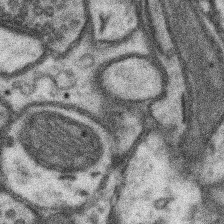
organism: Mouse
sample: Somatosensory cortex neuropil